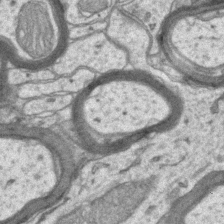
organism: Mouse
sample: CA1 Hippocampus